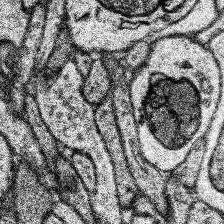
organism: Human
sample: Temporal Lobe